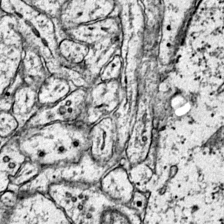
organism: Mouse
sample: Primary visual cortex